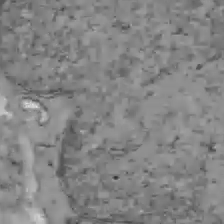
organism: C57BL Mouse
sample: Liver